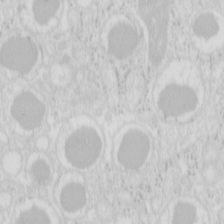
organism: Mouse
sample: Pancreas